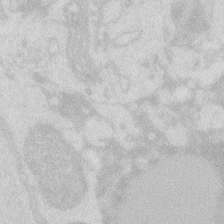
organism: Zebrafish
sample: Macrophage